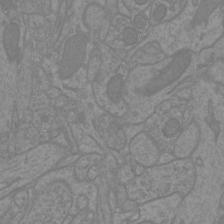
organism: Mouse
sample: Cortical neurons